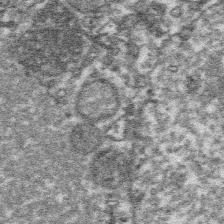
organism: Platynereis dumerilii